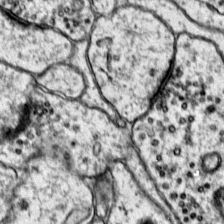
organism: Mouse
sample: Primary visual cortex